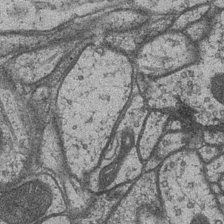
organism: Drosophila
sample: Optic medulla